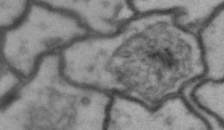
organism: Drosophila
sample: Brain